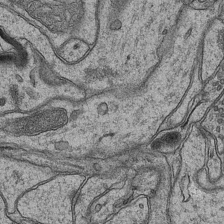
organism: Mouse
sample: CA1 Hippocampus